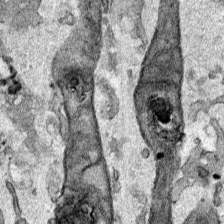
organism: Human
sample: Mitochondria in HCT116 cells